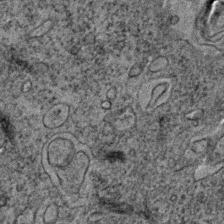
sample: Trachea